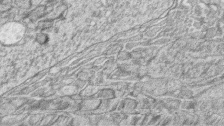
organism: Zebrafish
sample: synaptic ribbons in rod cells and cone cells